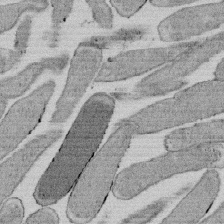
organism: E. coli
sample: Bacterial nucleoid